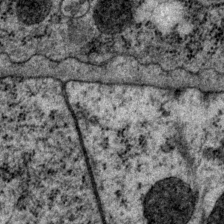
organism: P. pacificus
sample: Pharynx